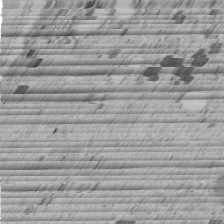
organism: C. elegans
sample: C. elegans embryo early stage